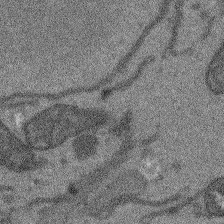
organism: Arabidopsis thaliana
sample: Root tip